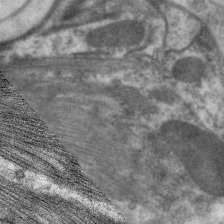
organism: C. elegans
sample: Pharynx